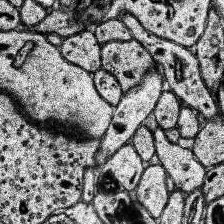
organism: Human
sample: Temporal Lobe